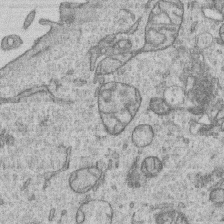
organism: Human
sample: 1205lu cells